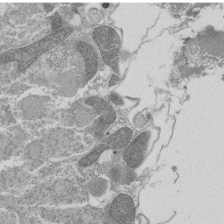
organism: Tetrahymena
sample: Cilia in tetrahymena